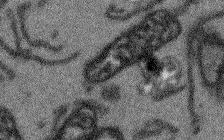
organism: Arabidopsis thaliana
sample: Root tip